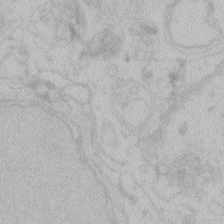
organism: Zebrafish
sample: Macrophage infected with Toxoplasma gondii